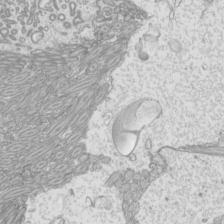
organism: Mouse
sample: Cilia; mouse epididymis